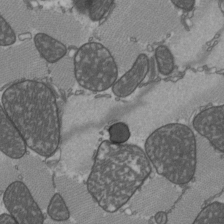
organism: C57BL Mouse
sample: Heart